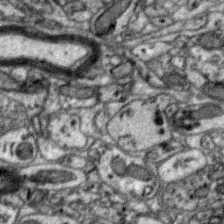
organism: Zebra finch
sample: Brain